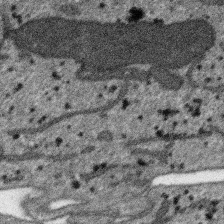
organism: Human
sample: Lung epithelial cells infected with SARS-CoV-2